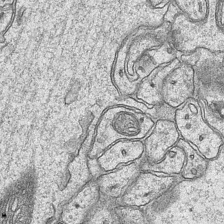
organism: Mouse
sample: CA1 Hippocampus